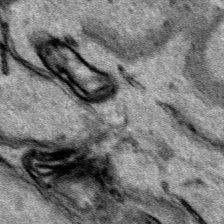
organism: Human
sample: Mitochondria in HCT116 cells